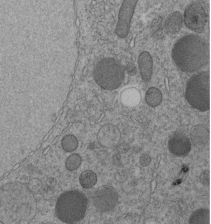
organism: C. elegans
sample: C. elegans embryo early stage